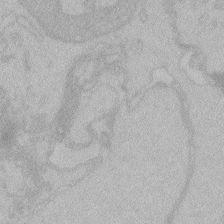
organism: Zebrafish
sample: Macrophage infected with Toxoplasma gondii